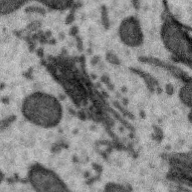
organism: Zebra finch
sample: Brain